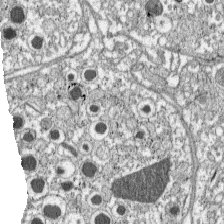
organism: C57BL Mouse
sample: Pancreatic islet